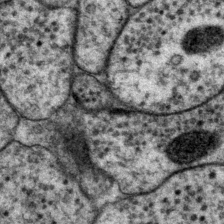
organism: P. pacificus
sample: Pharynx